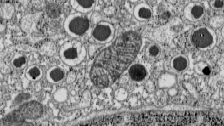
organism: C57BL Mouse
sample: Pancreatic islet